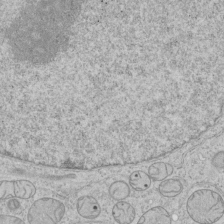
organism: Human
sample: Mitochondria in HCT116 cells